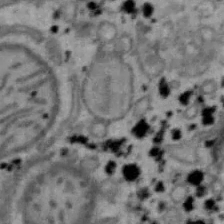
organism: Mouse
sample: Liver